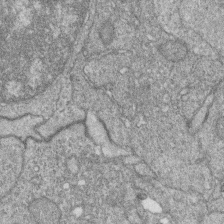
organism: Zebrafish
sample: Cilia; retinal pigment epithelium